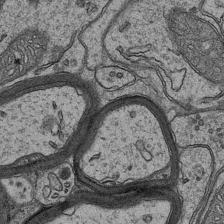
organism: Mouse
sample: CA1 Hippocampus